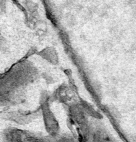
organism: Mouse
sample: Cancer cell death in ED-1 cells